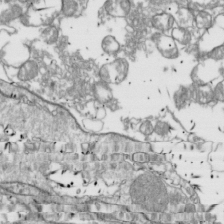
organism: Drosophila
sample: Cell division; meiosis; drosophila spermatocytes